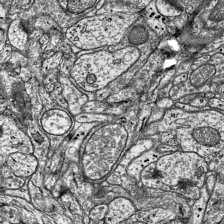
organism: Mouse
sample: Visual Cortex